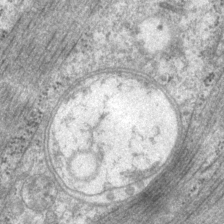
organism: P. pacificus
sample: Pharynx